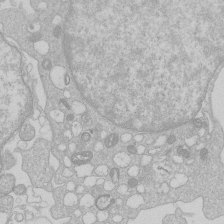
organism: Human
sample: Macrophage cells